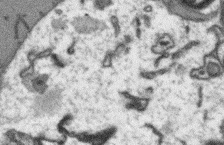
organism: Arabidopsis thaliana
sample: Root tip